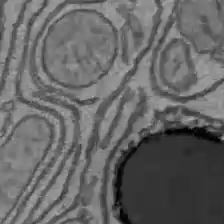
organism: C57BL Mouse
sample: Liver